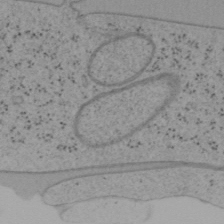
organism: Human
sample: HeLa cells